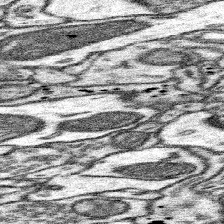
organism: Mouse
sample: Somatosensory cortex neuropil